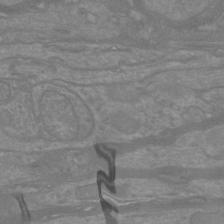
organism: Mouse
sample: Cortical neurons